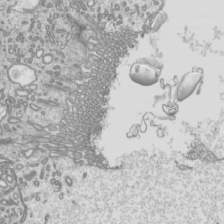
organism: Mouse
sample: Cilia; mouse epididymis